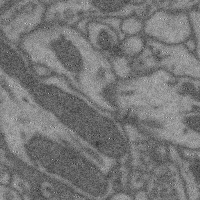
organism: Mouse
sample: Cerebral cortex